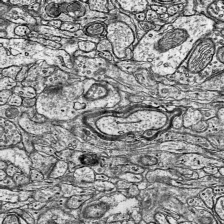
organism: Mouse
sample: Visual Cortex